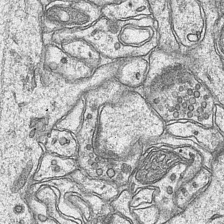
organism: Mouse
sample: CA1 Hippocampus